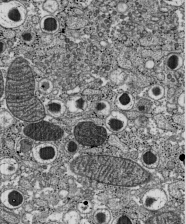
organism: C57BL Mouse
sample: Pancreatic islet